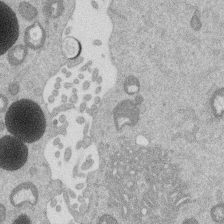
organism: Mouse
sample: Dividing mouse embryo 1 cell stage